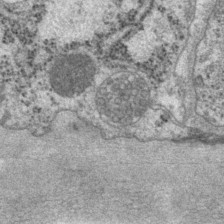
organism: P. pacificus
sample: Pharynx